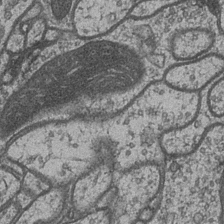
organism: Drosophila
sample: Optic medulla